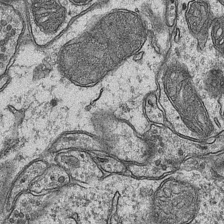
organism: Mouse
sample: CA1 Hippocampus